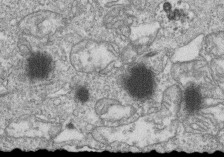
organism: Human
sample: HeLa cell HIV synapse